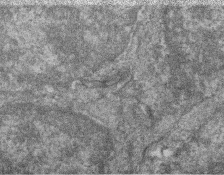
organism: Zebrafish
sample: Cilia; retinal pigment epithelium